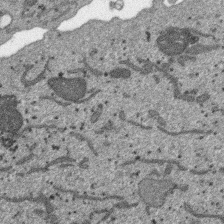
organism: Human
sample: Lung epithelial cells infected with SARS-CoV-2